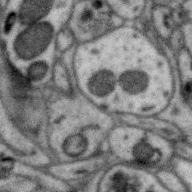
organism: Zebra finch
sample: Brain